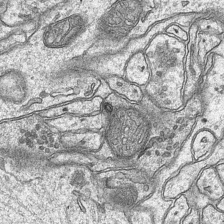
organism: Mouse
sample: CA1 Hippocampus